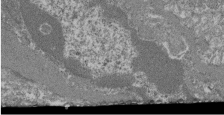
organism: Mouse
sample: Glomerulus